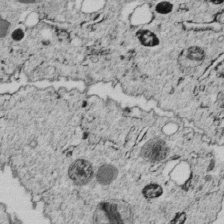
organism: C. elegans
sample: C. elegans embryo early stage